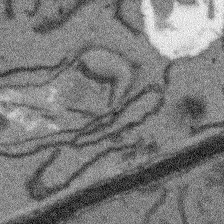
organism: Arabidopsis thaliana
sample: Root tip